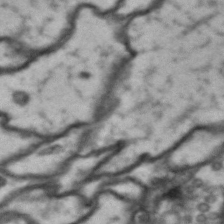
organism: Drosophila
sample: Brain